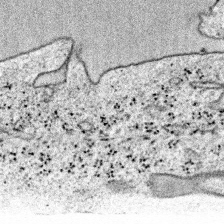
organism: Human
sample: HeLa cells